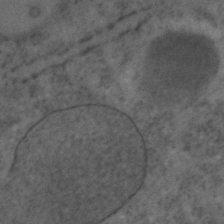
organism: C. elegans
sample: C. elegans embryo